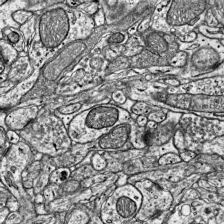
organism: Mouse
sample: Visual Cortex